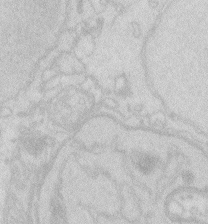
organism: Zebrafish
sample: Macrophage